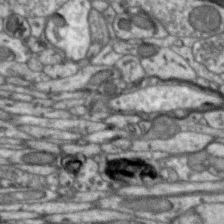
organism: Zebra finch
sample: Brain